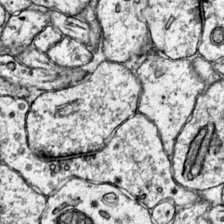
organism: Mouse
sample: Primary visual cortex